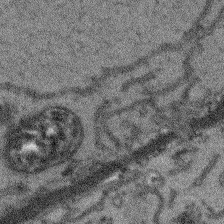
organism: Arabidopsis thaliana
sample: Root tip